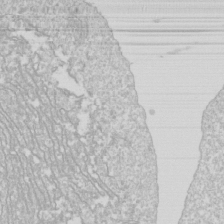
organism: Drosophila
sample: Cell division; meiosis; drosophila spermatocytes